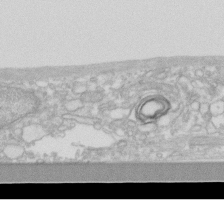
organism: Human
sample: Fibroblast cells